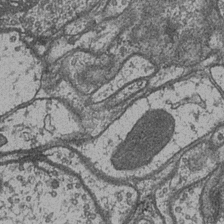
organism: Drosophila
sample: Optic medulla